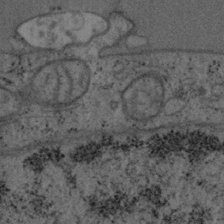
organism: Human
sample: HeLa cells